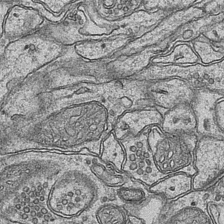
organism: Mouse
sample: CA1 Hippocampus